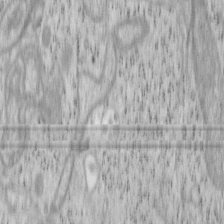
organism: Human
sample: HeLa cells